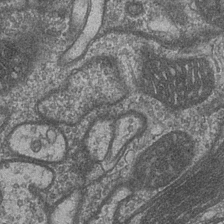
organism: Drosophila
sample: Optic medulla